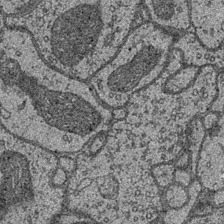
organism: Drosophila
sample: Optic medulla